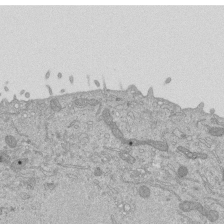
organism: Mouse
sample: ED-1 cell nuclei; centrioles